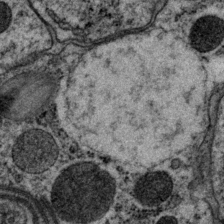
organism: P. pacificus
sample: Pharynx